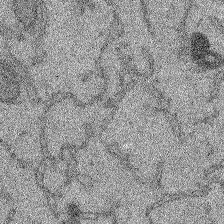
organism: Human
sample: HeLa cells